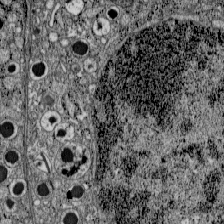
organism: C57BL Mouse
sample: Pancreatic islet